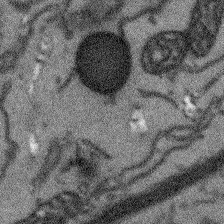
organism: Arabidopsis thaliana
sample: Root tip